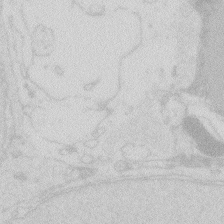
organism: Zebrafish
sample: Macrophage